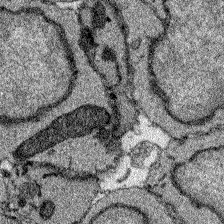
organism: Zebrafish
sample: Larval olfactory bulb